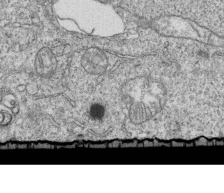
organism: Human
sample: HeLa cell HIV synapse